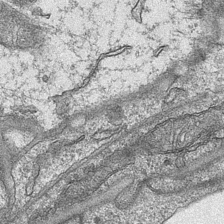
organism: Mouse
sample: CA1 Hippocampus